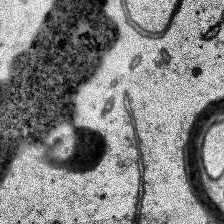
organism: Human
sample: Temporal Lobe